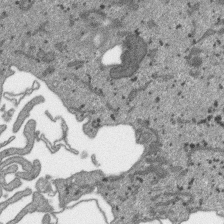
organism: Human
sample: Lung epithelial cells infected with SARS-CoV-2